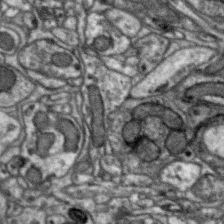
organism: Zebra finch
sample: Brain